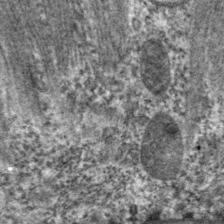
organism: C. elegans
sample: Pharynx